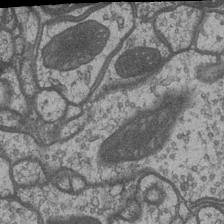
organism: Drosophila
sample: Optic medulla